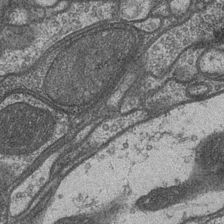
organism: Drosophila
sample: Optic medulla